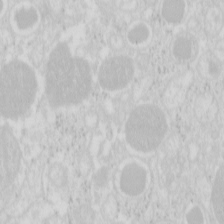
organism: Mouse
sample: Pancreas